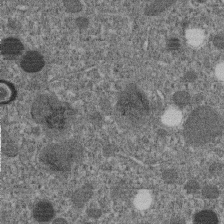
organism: C. elegans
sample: C. elegans embryo early stage